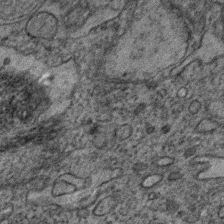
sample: Trachea